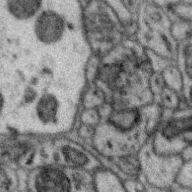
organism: Zebra finch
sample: Brain